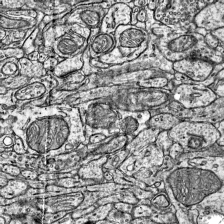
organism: Mouse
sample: Visual Cortex